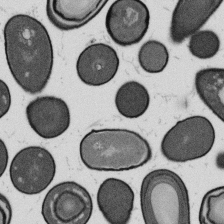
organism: B. subtilis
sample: Bacterial spore